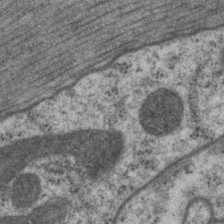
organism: P. pacificus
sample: Pharynx